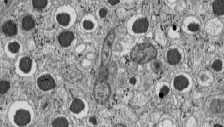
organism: C57BL Mouse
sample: Pancreatic islet